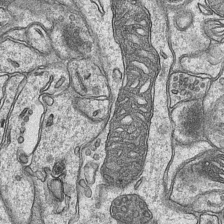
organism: Mouse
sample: CA1 Hippocampus